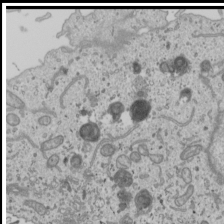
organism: Human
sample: Mitochondria in U2OS cells